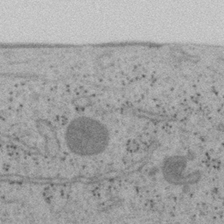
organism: Human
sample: HeLa cells